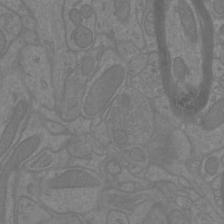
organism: Mouse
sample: Cortical neurons